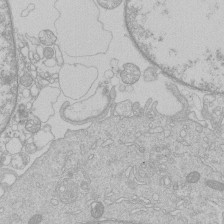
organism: Human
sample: Macrophage cells